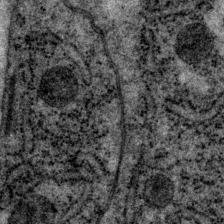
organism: P. pacificus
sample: Pharynx